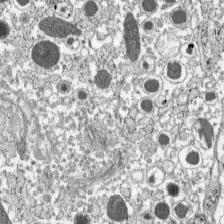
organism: C57BL Mouse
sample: Pancreatic islet